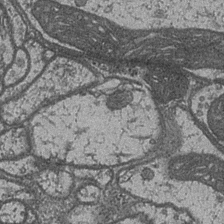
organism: Drosophila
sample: Optic medulla